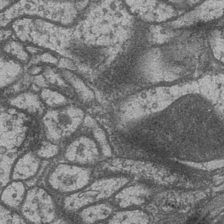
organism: Drosophila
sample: Optic medulla